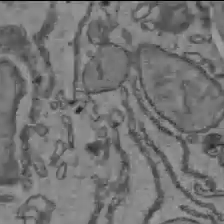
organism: C57BL Mouse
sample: Liver